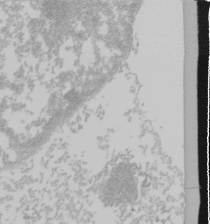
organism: Mouse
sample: Cancer cell death in ED-1 cells